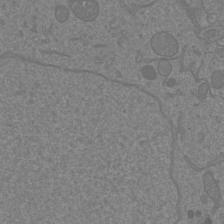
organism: Mouse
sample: Cortical neurons